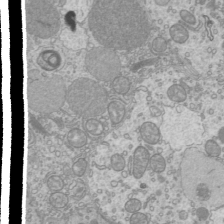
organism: Mouse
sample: Cilia; mouse epididymis